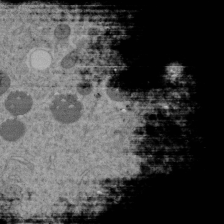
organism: C. elegans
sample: C. elegans embryo early stage